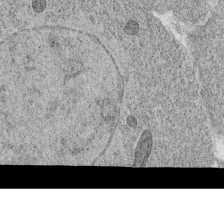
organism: C. elegans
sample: C. elegans oocyte; sperm cells